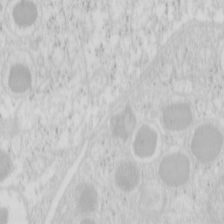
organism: Mouse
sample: Pancreas